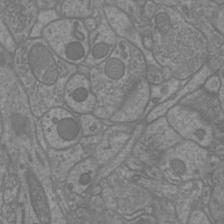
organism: Mouse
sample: Cortical neurons